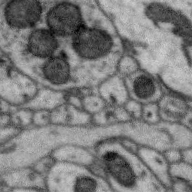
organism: Zebra finch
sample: Brain